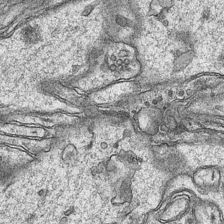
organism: Mouse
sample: CA1 Hippocampus